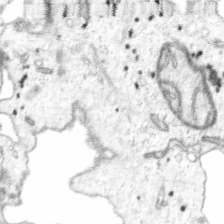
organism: Human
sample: HeLa cells